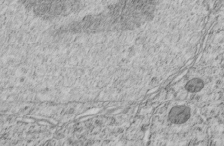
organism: C. elegans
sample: C. elegans embryo early stage